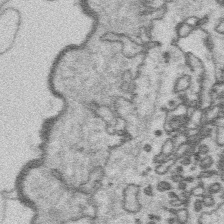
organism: Platynereis dumerilii